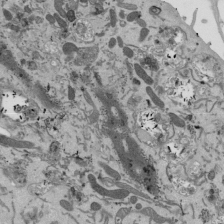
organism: Mouse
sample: ED-1 cell nuclei; centrioles